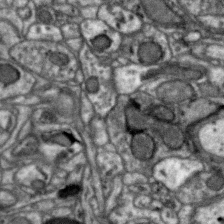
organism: Zebra finch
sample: Brain